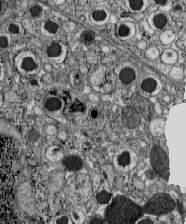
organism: C57BL Mouse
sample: Pancreatic islet